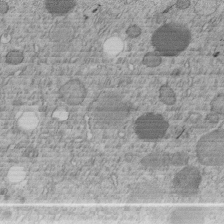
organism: C. elegans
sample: C. elegans embryo early stage